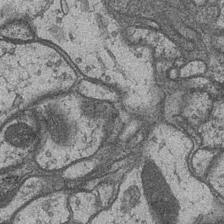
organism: Drosophila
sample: Optic medulla